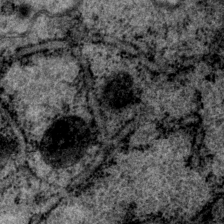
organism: P. pacificus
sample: Pharynx